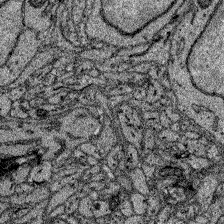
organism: Zebrafish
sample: Larval olfactory bulb